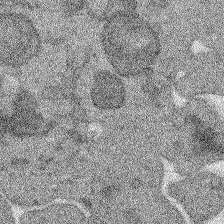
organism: Human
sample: HeLa cells